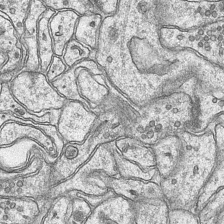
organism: Mouse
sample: CA1 Hippocampus